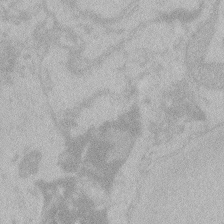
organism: Zebrafish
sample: Macrophage infected with Toxoplasma gondii